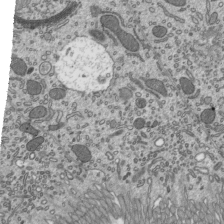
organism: Mouse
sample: Mouse epididymis efferent ductule cilia